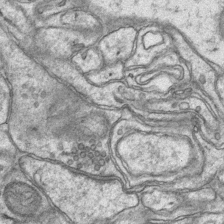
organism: Mouse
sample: CA1 Hippocampus